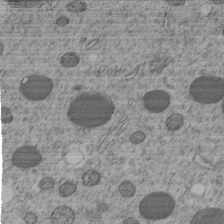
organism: C. elegans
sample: C. elegans embryo early stage